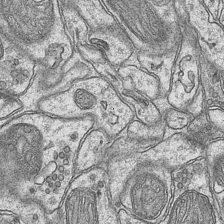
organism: Mouse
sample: CA1 Hippocampus